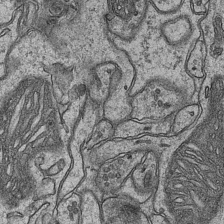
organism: Mouse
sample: CA1 Hippocampus